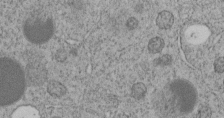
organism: C. elegans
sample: C. elegans embryo early stage